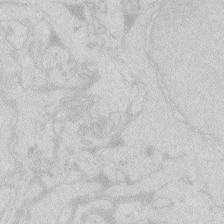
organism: Zebrafish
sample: Macrophage